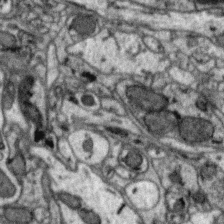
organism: Zebra finch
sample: Brain